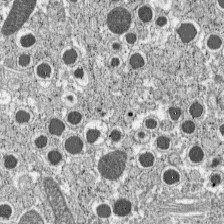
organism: C57BL Mouse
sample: Pancreatic islet